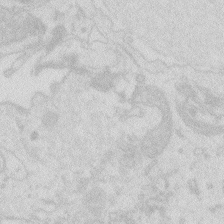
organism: Zebrafish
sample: Macrophage